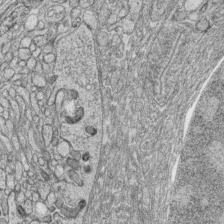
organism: Zebrafish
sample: synaptic ribbons in rod cells and cone cells